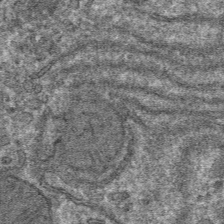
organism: Mouse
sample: Mouse hepatocytes